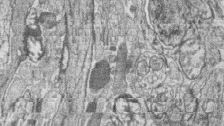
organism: Zebrafish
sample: synaptic ribbons in rod cells and cone cells